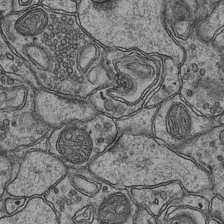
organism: Mouse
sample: CA1 Hippocampus